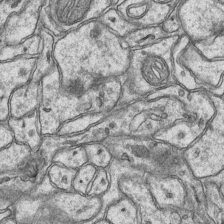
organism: Mouse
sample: CA1 Hippocampus